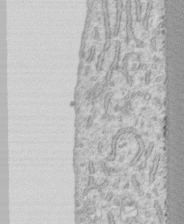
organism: Human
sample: CRL-1474